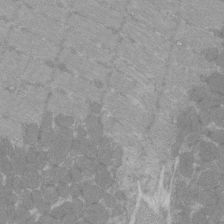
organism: C57BL Mouse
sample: Tibialis anterior muscle cell